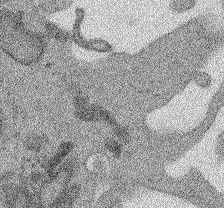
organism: Human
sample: HeLa cells